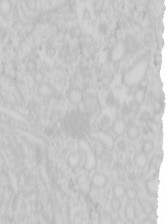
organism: Mouse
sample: Pancreas